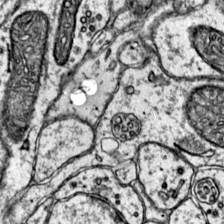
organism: Mouse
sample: Primary visual cortex